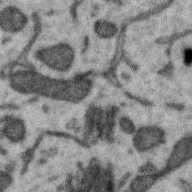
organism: Zebra finch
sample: Brain